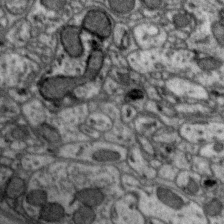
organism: Zebra finch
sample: Brain